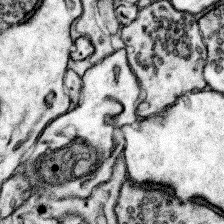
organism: Mouse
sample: Somatosensory cortex neuropil